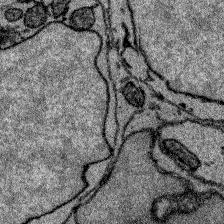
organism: Zebrafish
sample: Larval olfactory bulb